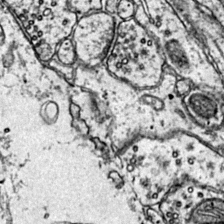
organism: Mouse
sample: Primary visual cortex